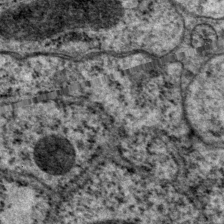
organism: P. pacificus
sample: Pharynx